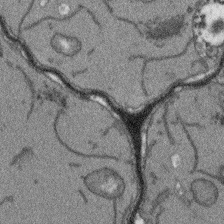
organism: Arabidopsis thaliana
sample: Root tip